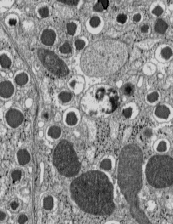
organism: C57BL Mouse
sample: Pancreatic islet